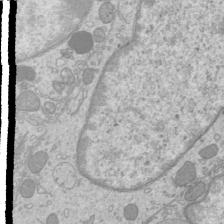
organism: Mouse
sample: Cilia; mouse epididymis